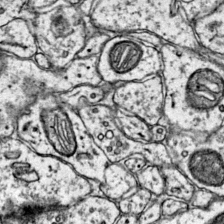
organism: Mouse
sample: Primary visual cortex